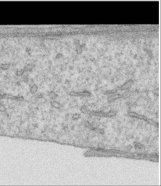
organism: Human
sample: Centriole in RPE cells